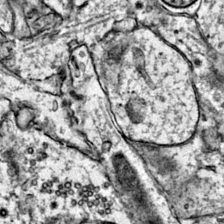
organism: Mouse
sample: Primary visual cortex